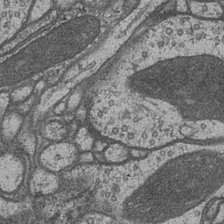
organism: Drosophila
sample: Optic medulla